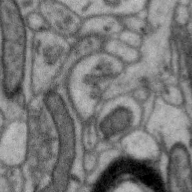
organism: Zebra finch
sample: Brain